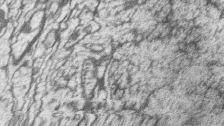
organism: Zebrafish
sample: synaptic ribbons in rod cells and cone cells